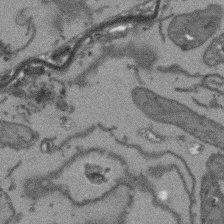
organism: Arabidopsis thaliana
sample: Root tip